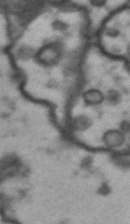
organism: Drosophila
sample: Brain